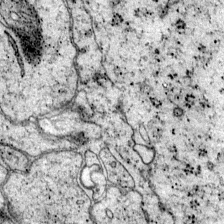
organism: Mouse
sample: Primary visual cortex